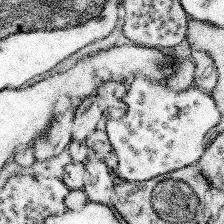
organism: Mouse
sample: Somatosensory cortex neuropil